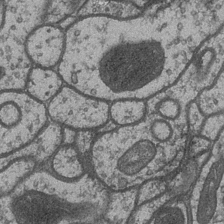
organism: Drosophila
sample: Optic medulla